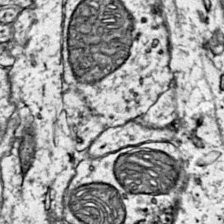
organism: Mouse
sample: Primary visual cortex